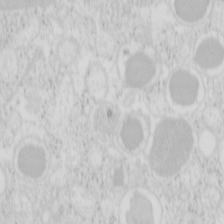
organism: Mouse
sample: Pancreas